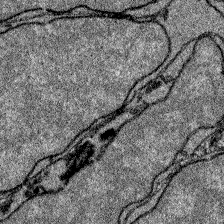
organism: Zebrafish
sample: Larval olfactory bulb